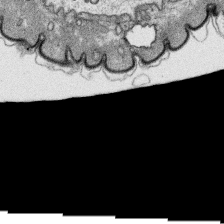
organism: Platynereis dumerilii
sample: Parapodia